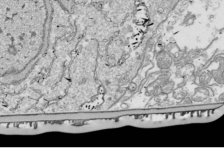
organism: Drosophila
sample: Cell division; meiosis; drosophila spermatocytes